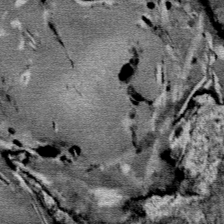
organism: Mouse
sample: Mouse Salivary gland